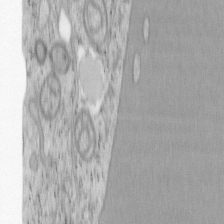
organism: Human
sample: HeLa cells